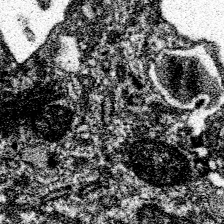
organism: Spongilla lacustris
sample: Neuroid cell